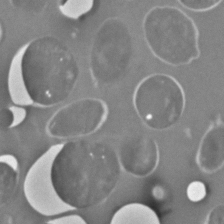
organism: C. elegans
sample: C. elegans embryo